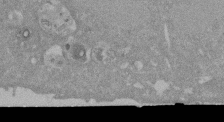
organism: Mouse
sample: ED-1 cell nuclei; centrioles